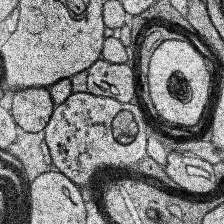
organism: Human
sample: Temporal Lobe